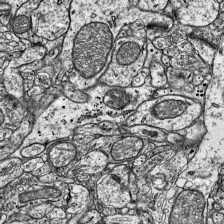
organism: Mouse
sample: Visual Cortex